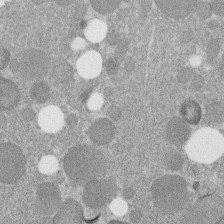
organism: C. elegans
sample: C. elegans embryo early stage